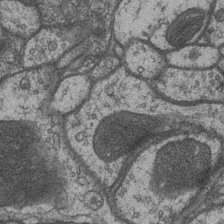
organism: Drosophila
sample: Optic medulla